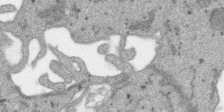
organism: Human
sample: Lung epithelial cells infected with SARS-CoV-2